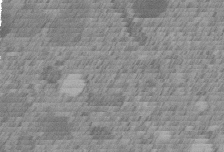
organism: C. elegans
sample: C. elegans embryo early stage